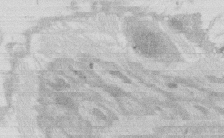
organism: Rat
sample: Salivary granule